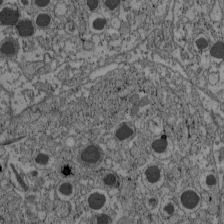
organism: C57BL Mouse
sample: Pancreatic islet